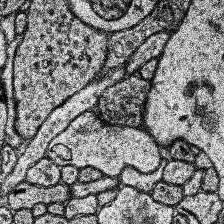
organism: Human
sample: Temporal Lobe